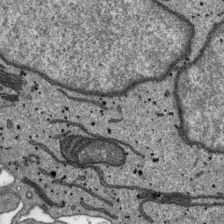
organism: Human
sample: Lung epithelial cells, uninfected (mock) control